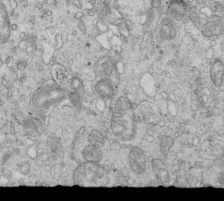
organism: Mouse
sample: Multiciliated cells